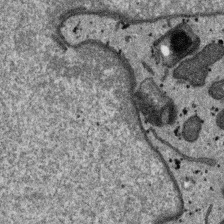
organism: Human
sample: Lung epithelial cells, uninfected (mock) control